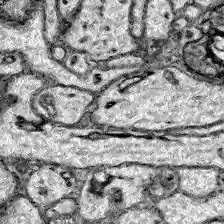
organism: Zebrafish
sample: Brain